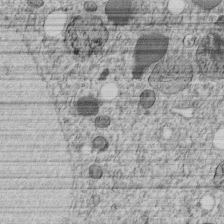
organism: C. elegans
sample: C. elegans embryo early stage